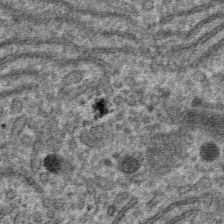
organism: Mouse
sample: Mouse hepatocytes